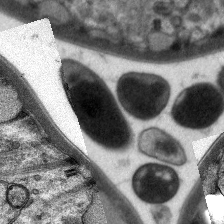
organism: C. elegans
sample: Pharynx